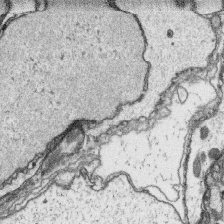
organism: Platynereis dumerilii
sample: Parapodia